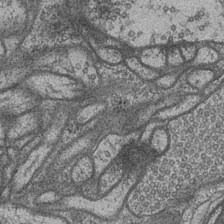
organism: Drosophila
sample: Optic medulla